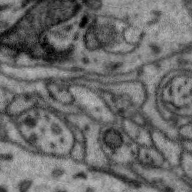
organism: Zebra finch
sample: Brain